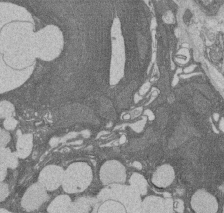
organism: Rat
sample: Salivary granule